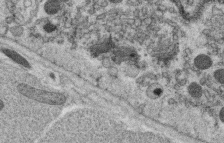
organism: C. elegans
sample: C. elegans oocyte; sperm cells